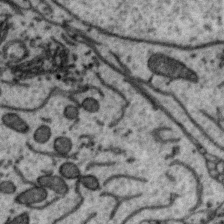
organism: Zebra finch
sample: Brain